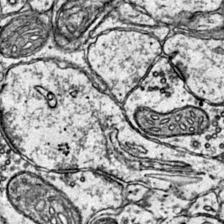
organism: Mouse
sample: Primary visual cortex